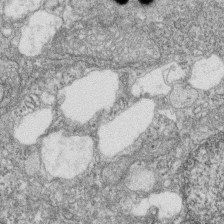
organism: Zebrafish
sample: Cilia; retinal pigment epithelium